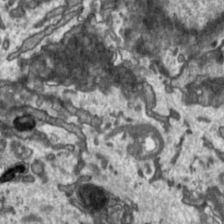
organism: Toxoplasma gondii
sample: Parasites in a vacuole inside a host cell